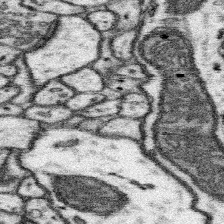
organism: Mouse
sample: Somatosensory cortex neuropil